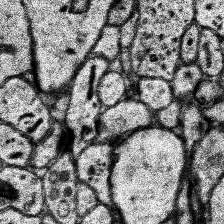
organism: Human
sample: Temporal Lobe